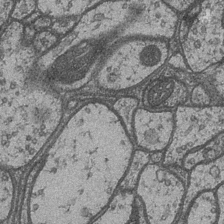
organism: Drosophila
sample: Optic medulla